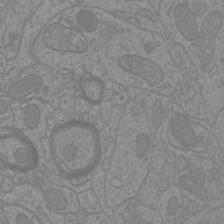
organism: Mouse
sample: Cortical neurons